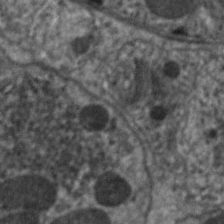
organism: C. elegans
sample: Pharynx